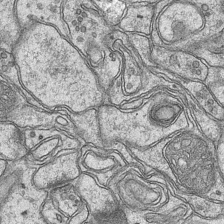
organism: Mouse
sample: CA1 Hippocampus